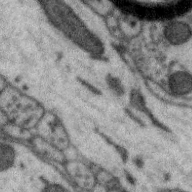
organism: Zebra finch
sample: Brain